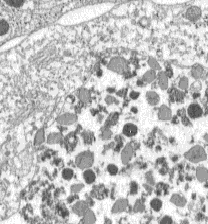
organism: C57BL Mouse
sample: Pancreatic islet